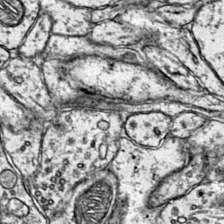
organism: Mouse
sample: Primary visual cortex